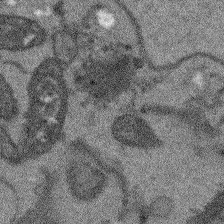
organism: Arabidopsis thaliana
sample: Root tip